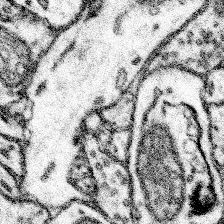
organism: Mouse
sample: Somatosensory cortex neuropil